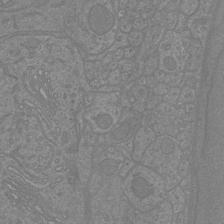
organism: Mouse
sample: Cortical neurons